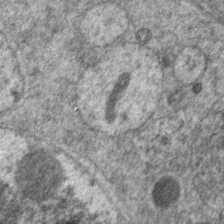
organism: C. elegans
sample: Pharynx